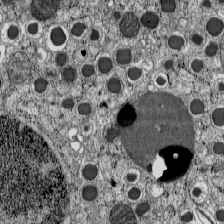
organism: C57BL Mouse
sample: Pancreatic islet